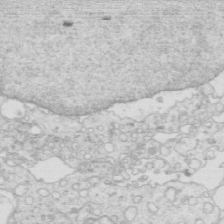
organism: Mouse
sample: Multiciliated cells